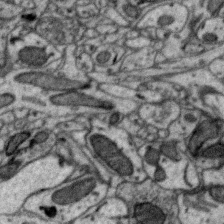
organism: Zebra finch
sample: Brain